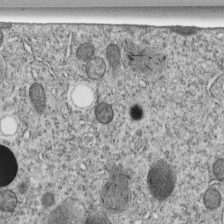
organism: C. elegans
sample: C. elegans embryo early stage